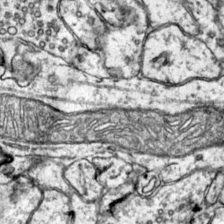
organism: Mouse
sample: Primary visual cortex